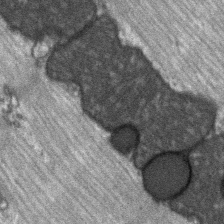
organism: C57BL Mouse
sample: Soleus